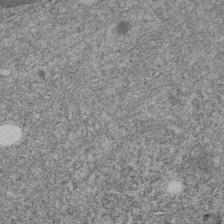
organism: C. elegans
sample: C. elegans embryo early stage